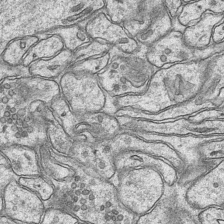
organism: Mouse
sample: CA1 Hippocampus